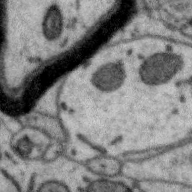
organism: Zebra finch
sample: Brain